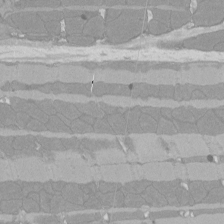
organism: Rat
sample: Left ventricle